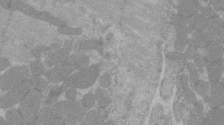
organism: C57BL Mouse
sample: Tibialis anterior muscle cell